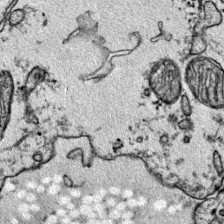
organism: Mouse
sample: Primary visual cortex